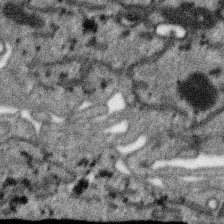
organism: Human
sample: Lung epithelial cells infected with SARS-CoV-2